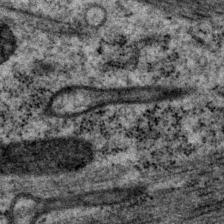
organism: P. pacificus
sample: Pharynx